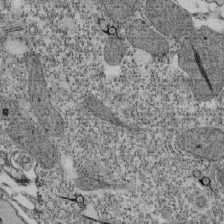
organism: Tetrahymena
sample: Cilia in tetrahymena